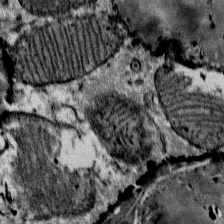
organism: Mouse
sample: Mouse Salivary gland